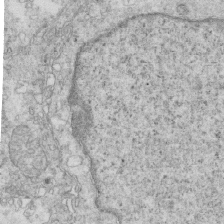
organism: Mouse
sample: Multiciliated cells